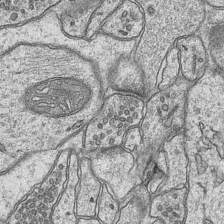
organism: Mouse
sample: CA1 Hippocampus